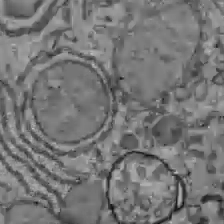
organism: C57BL Mouse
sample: Liver